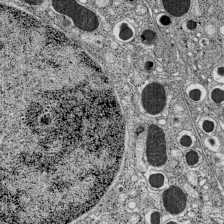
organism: C57BL Mouse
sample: Pancreatic islet